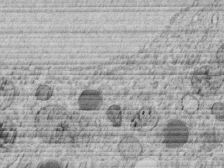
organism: C. elegans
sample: C. elegans embryo early stage